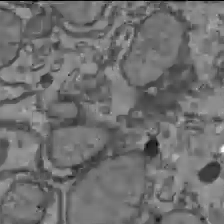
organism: C57BL Mouse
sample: Liver